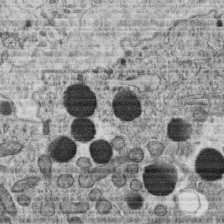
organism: C. elegans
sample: C. elegans oocyte; sperm cells